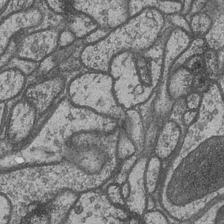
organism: Drosophila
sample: Optic medulla